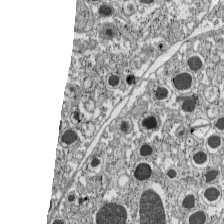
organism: C57BL Mouse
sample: Pancreatic islet